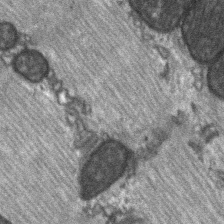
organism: C57BL Mouse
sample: Soleus